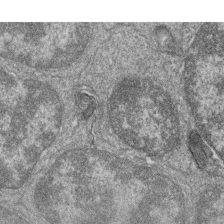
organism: Zebrafish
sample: Cilia; retinal pigment epithelium